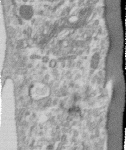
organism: Human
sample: Centriole in RPE cells